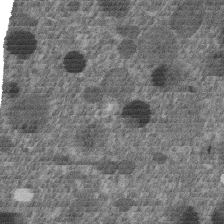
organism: C. elegans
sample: C. elegans embryo early stage